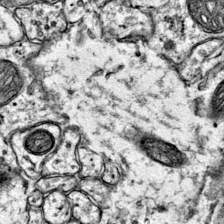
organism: Mouse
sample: Primary visual cortex